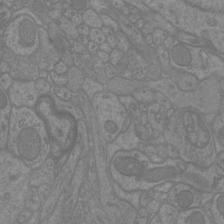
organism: Mouse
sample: Cortical neurons